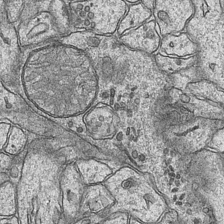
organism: Mouse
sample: CA1 Hippocampus